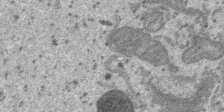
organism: Human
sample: Lung epithelial cells infected with SARS-CoV-2